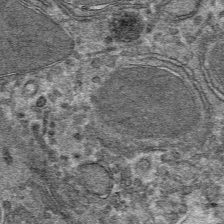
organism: Mouse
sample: Mouse hepatocytes